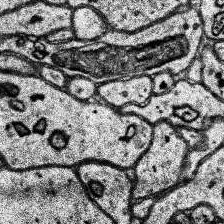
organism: Human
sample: Temporal Lobe